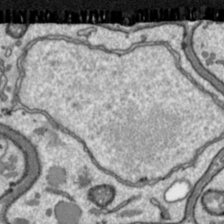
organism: Toxoplasma gondii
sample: Parasites in a vacuole inside a host cell